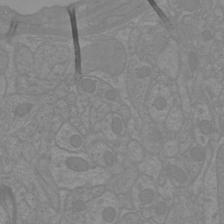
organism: Mouse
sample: Cortical neurons